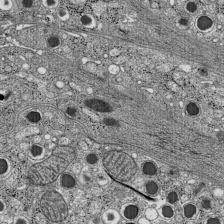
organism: C57BL Mouse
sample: Pancreatic islet